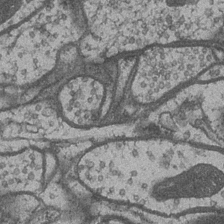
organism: Drosophila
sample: Optic medulla